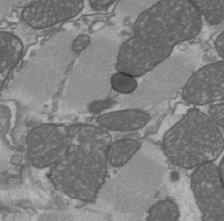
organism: C57BL Mouse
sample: Heart